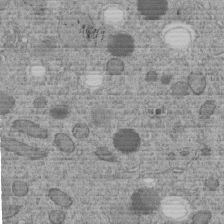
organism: C. elegans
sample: C. elegans embryo early stage